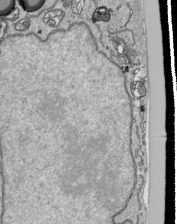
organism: Human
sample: Mitochondria in HCT116 cells